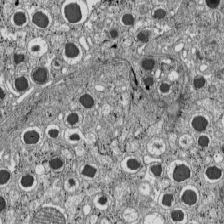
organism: C57BL Mouse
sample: Pancreatic islet